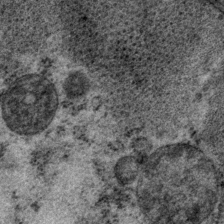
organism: P. pacificus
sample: Pharynx